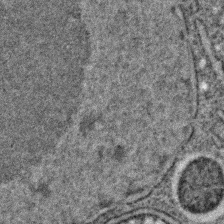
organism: C. elegans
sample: C. elegans embryo